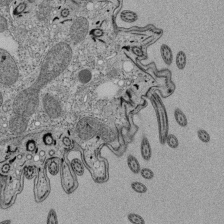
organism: Tetrahymena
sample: Cilia in tetrahymena